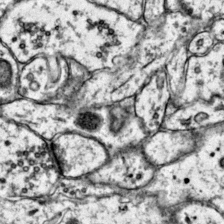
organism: Mouse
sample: Primary visual cortex